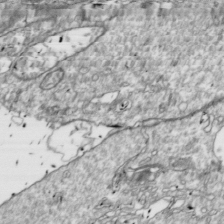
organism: Drosophila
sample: Cell division; meiosis; drosophila spermatocytes